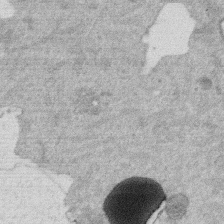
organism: Mouse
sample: Dividing mouse embryo 1 cell stage